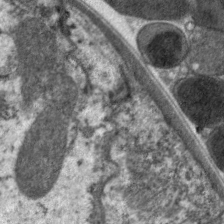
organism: C. elegans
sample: Pharynx